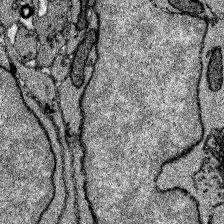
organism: Zebrafish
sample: Larval olfactory bulb